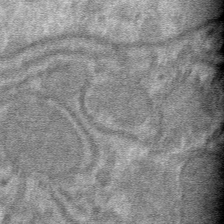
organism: Mouse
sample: Mouse hepatocytes